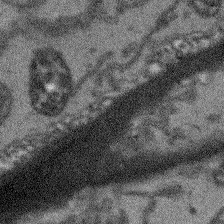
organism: Arabidopsis thaliana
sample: Root tip